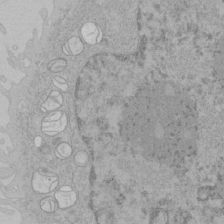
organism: Human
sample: Mitochondria in HCT116 cells